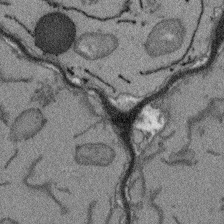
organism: Arabidopsis thaliana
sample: Root tip